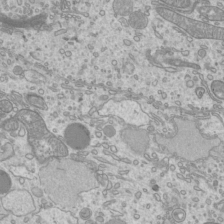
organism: Mouse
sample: Cilia; mouse epididymis